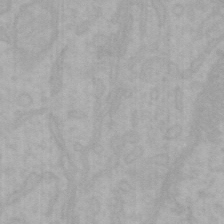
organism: Mouse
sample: Choroid plexus